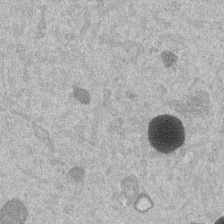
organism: Mouse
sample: Dividing mouse embryo 1 cell stage